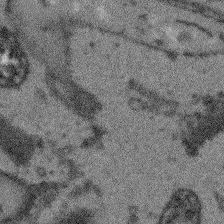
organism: Arabidopsis thaliana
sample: Root tip